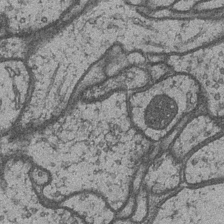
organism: Drosophila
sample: Optic medulla